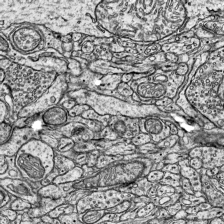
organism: Mouse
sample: Visual Cortex